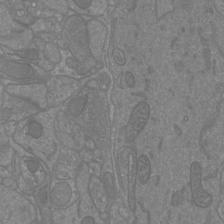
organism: Mouse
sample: Cortical neurons